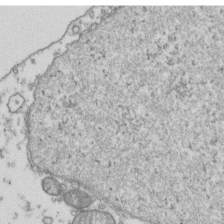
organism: Human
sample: Activated Jurkat CD4+ T cells